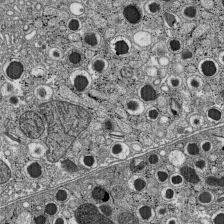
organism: C57BL Mouse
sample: Pancreatic islet